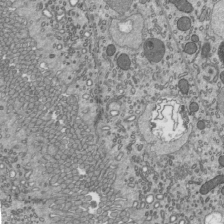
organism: Mouse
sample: Mouse epididymis efferent ductule cilia